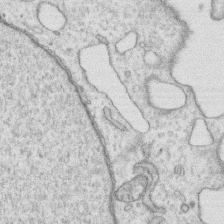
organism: Human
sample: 1205lu cells